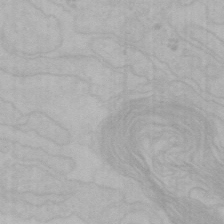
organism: Mouse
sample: Choroid plexus